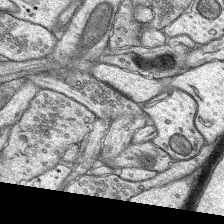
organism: Rat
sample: Hippocampus